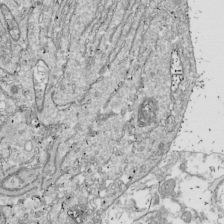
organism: Drosophila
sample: Cell division; meiosis; drosophila spermatocytes